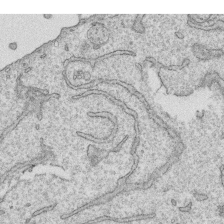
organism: Human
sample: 1205lu cells